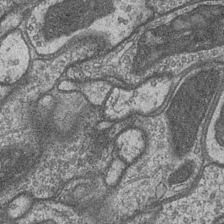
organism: Drosophila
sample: Optic medulla